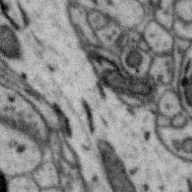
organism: Zebra finch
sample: Brain